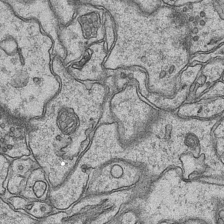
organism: Mouse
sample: CA1 Hippocampus